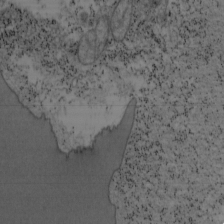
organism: Mouse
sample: OT-I killer T cells with ID8 ovarian cancer cells